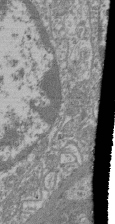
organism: Mouse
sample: Glomerulus